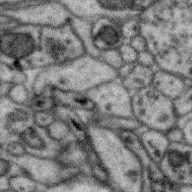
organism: Zebra finch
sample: Brain